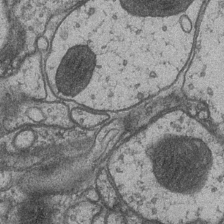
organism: Drosophila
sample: Optic medulla